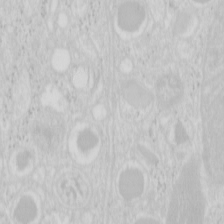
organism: Mouse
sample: Pancreas